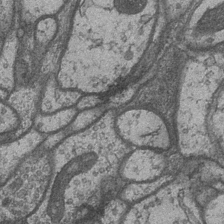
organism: Drosophila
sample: Optic medulla